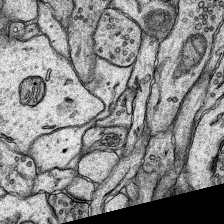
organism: Rat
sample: Hippocampus